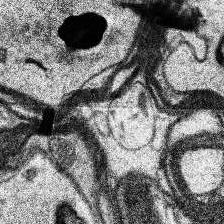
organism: Human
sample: Temporal Lobe